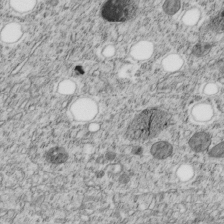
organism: C. elegans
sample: C. elegans embryo early stage